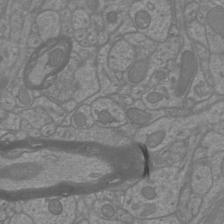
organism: Mouse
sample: Cortical neurons